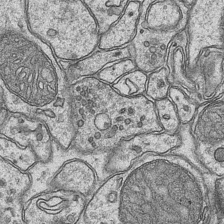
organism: Mouse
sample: CA1 Hippocampus